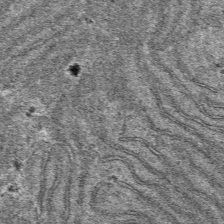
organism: Mouse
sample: Mouse hepatocytes